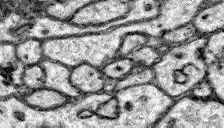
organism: Zebrafish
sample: Brain